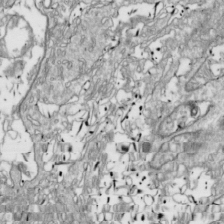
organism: Drosophila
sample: Cell division; meiosis; drosophila spermatocytes